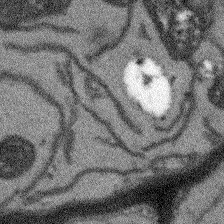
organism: Arabidopsis thaliana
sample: Root tip